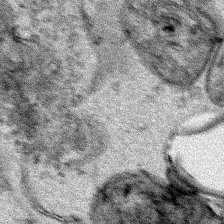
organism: Human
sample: Mitochondria in HCT116 cells